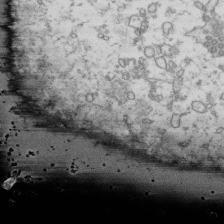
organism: Human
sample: Activated Jurkat CD4+ T cells